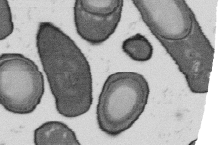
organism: B. subtilis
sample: Bacterial spore